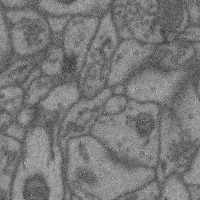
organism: Mouse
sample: Cerebral cortex